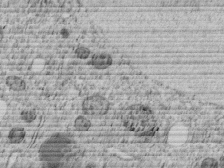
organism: C. elegans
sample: C. elegans embryo early stage